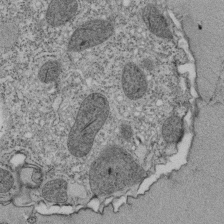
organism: Tetrahymena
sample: Cilia in tetrahymena